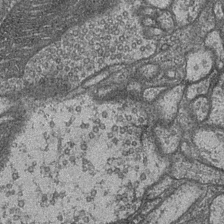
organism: Drosophila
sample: Optic medulla